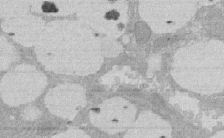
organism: Rat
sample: Salivary granule